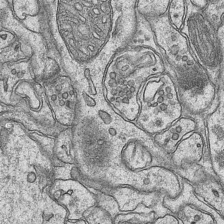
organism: Mouse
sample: CA1 Hippocampus